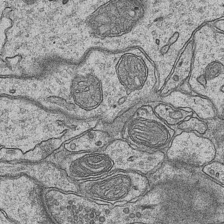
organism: Mouse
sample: CA1 Hippocampus